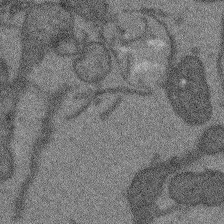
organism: Arabidopsis thaliana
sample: Root tip